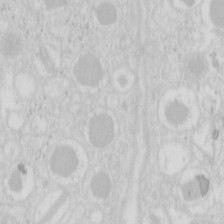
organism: Mouse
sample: Pancreas